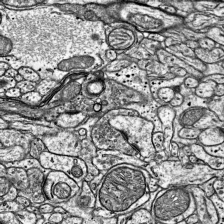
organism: Mouse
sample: Visual Cortex